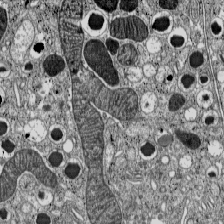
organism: C57BL Mouse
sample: Pancreatic islet